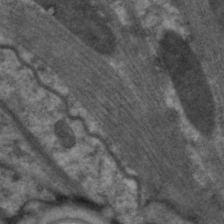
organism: C. elegans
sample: Pharynx